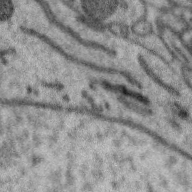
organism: Zebra finch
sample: Brain